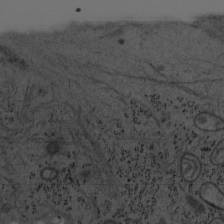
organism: Mouse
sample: OT-I killer T cells with ID8 ovarian cancer cells